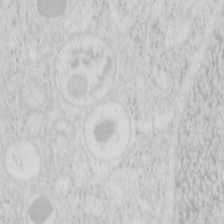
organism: Mouse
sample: Pancreas